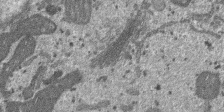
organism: Human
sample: Lung epithelial cells infected with SARS-CoV-2